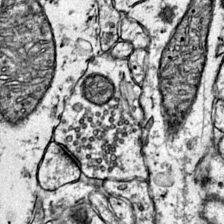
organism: Mouse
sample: Primary visual cortex